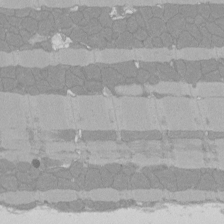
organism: Rat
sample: Left ventricle